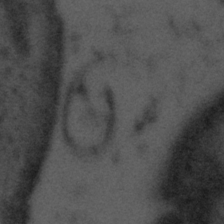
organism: Tuwongella immobilis